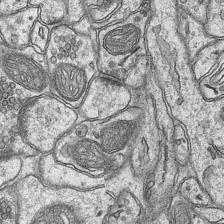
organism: Mouse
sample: CA1 Hippocampus